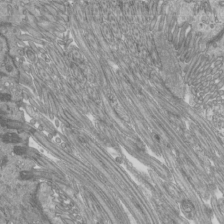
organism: Mouse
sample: Cilia; mouse epididymis